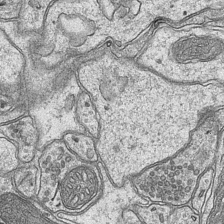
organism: Mouse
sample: CA1 Hippocampus